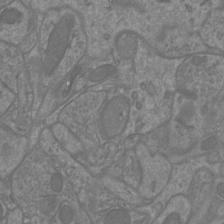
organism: Mouse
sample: Cortical neurons